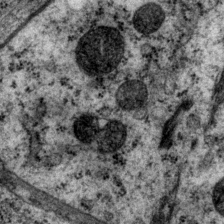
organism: P. pacificus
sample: Pharynx